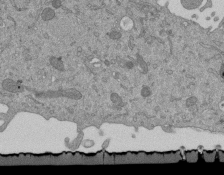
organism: Mouse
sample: ED-1 cell nuclei; centrioles